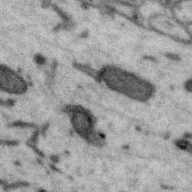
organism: Zebra finch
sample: Brain